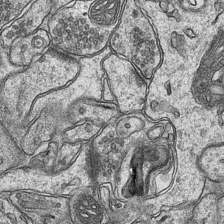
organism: Mouse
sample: CA1 Hippocampus